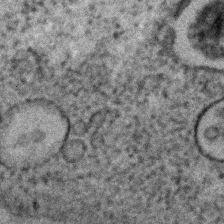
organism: C. elegans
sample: C. elegans embryo